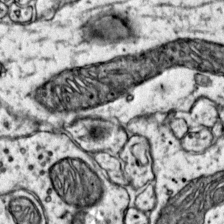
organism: Mouse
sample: Primary visual cortex